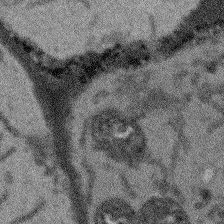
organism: Arabidopsis thaliana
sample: Root tip